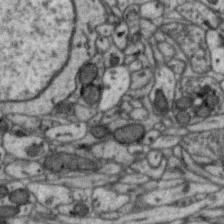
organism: Zebra finch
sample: Brain